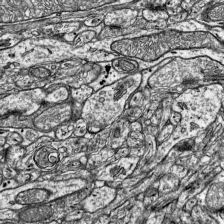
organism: Mouse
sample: Visual Cortex